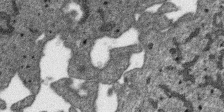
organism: Human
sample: Lung epithelial cells infected with SARS-CoV-2